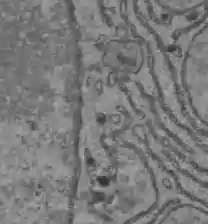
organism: C57BL Mouse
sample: Liver